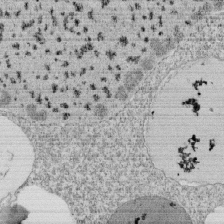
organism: Tetrahymena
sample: Cilia in tetrahymena